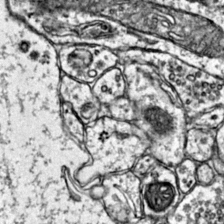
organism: Mouse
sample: Primary visual cortex